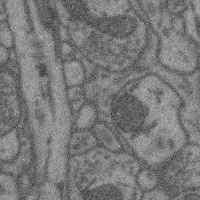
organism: Mouse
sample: Cerebral cortex